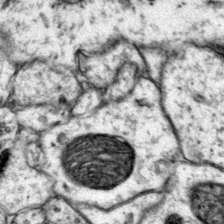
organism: Mouse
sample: Primary visual cortex